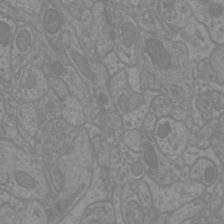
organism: Mouse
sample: Cortical neurons